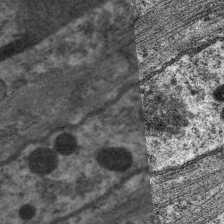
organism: C. elegans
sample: Pharynx